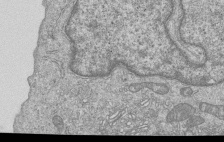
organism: Human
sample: MDA-MB-231 cells